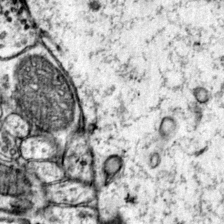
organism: Mouse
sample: Primary visual cortex